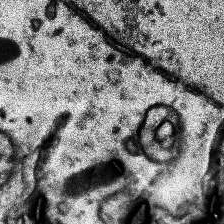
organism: Human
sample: Temporal Lobe